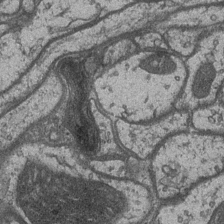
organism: Drosophila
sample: Optic medulla